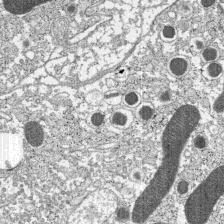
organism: C57BL Mouse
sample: Pancreatic islet